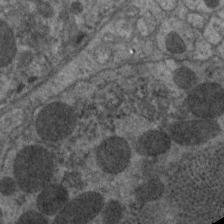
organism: C. elegans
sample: Pharynx